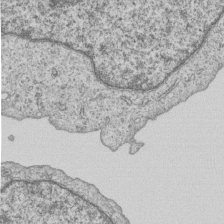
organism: Human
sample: MDA-MB-231 cells